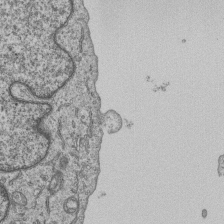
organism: Human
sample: MDA-MB-231 cells